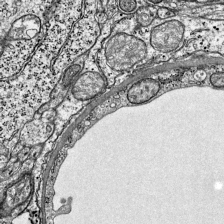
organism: Mouse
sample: Visual Cortex